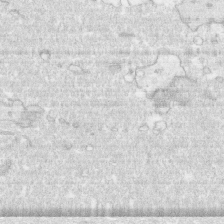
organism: Human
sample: CRL-1474